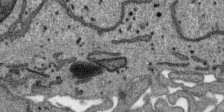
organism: Human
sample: Lung epithelial cells, uninfected (mock) control